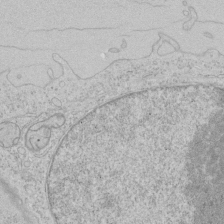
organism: Human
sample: Mitochondria in HCT116 cells